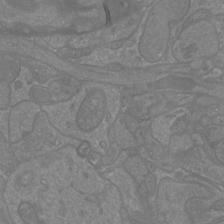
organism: Mouse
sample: Cortical neurons